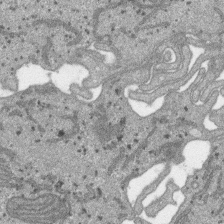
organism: Human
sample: Lung epithelial cells infected with SARS-CoV-2